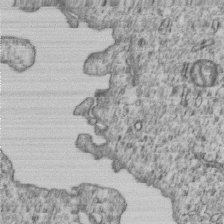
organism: Human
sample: MDA-MB-231 cells